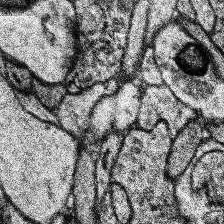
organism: Human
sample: Temporal Lobe